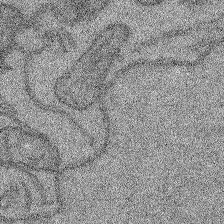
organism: Human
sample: HeLa cells